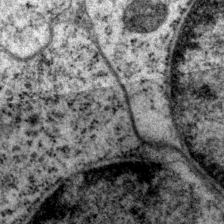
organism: P. pacificus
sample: Pharynx